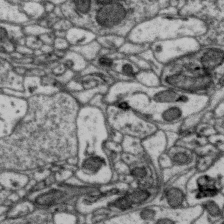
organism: Zebra finch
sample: Brain